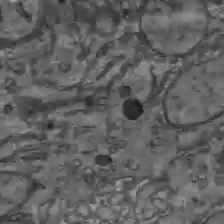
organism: C57BL Mouse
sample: Liver